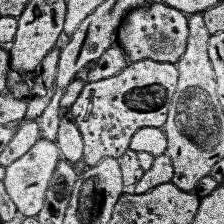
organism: Human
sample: Temporal Lobe